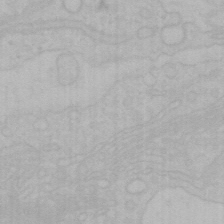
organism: Mouse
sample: Choroid plexus